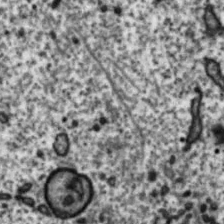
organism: Human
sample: HeLa cells